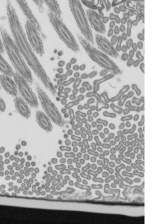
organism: Mouse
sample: Mouse epididymis efferent ductule cilia